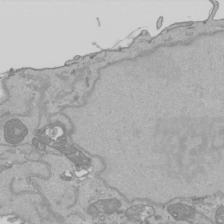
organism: Human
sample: Mitochondria in HCT116 cells